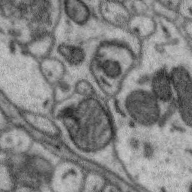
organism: Zebra finch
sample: Brain